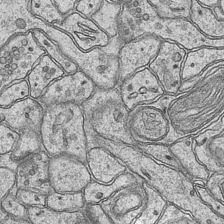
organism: Mouse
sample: CA1 Hippocampus